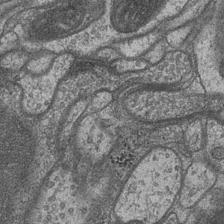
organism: Drosophila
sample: Optic medulla